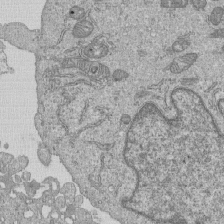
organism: Human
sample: MDA-MB-231 cells